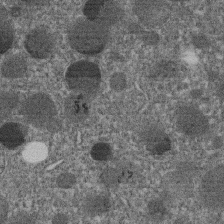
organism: C. elegans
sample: C. elegans embryo early stage